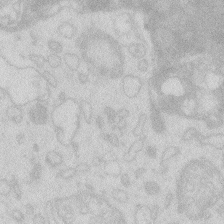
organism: Zebrafish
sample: Macrophage